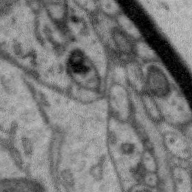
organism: Zebra finch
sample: Brain